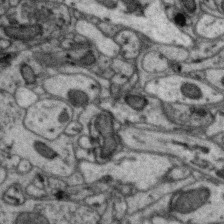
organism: Zebra finch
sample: Brain